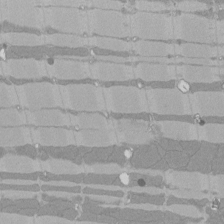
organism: Rat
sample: Left ventricle